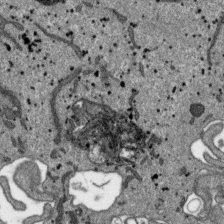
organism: Human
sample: Lung epithelial cells, uninfected (mock) control